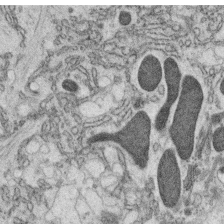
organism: C. elegans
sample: C. elegans oocyte; sperm cells